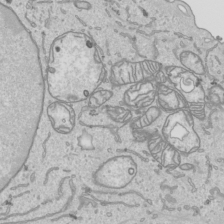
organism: Human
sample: Mitochondria in HCT116 cells